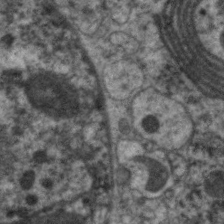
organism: C. elegans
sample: Pharynx